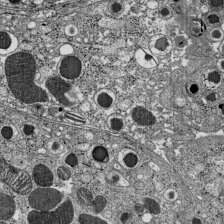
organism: C57BL Mouse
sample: Pancreatic islet